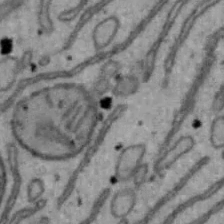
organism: Mouse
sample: Liver